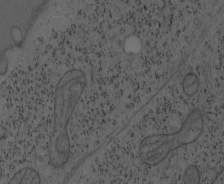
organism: Mouse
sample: OT-I killer T cells with ID8 ovarian cancer cells